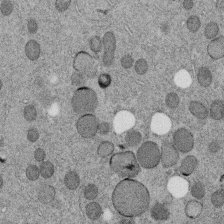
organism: C. elegans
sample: C. elegans embryo early stage